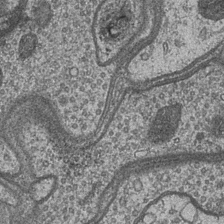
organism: Drosophila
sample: Optic medulla